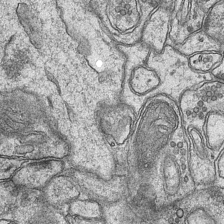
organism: Mouse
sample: CA1 Hippocampus